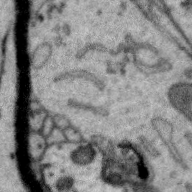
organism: Zebra finch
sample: Brain